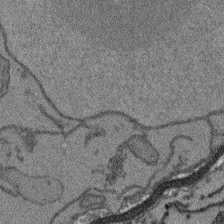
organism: Arabidopsis thaliana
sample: Root tip